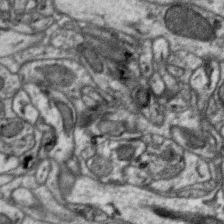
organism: Zebra finch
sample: Brain